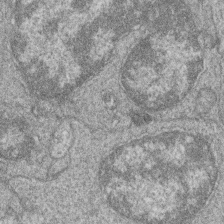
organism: Zebrafish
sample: Cilia; retinal pigment epithelium